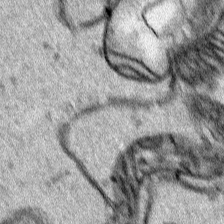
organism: Human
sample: Mitochondria in HCT116 cells